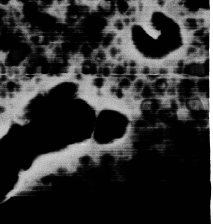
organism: Human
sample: HIV infected U937 cells